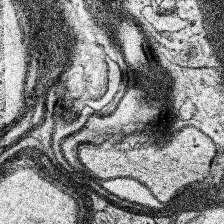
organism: Human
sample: Temporal Lobe